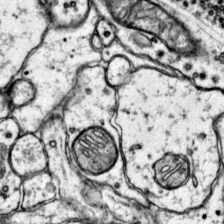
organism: Mouse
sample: Primary visual cortex